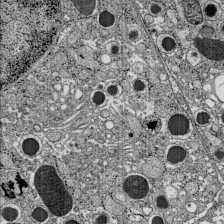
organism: C57BL Mouse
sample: Pancreatic islet